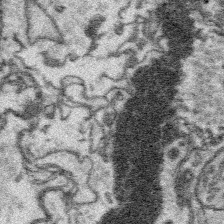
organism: Platynereis dumerilii